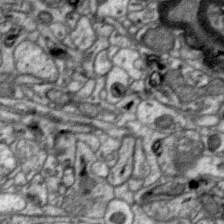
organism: Zebra finch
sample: Brain